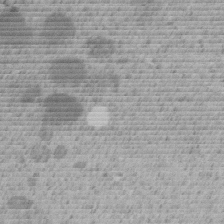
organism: C. elegans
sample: C. elegans embryo early stage